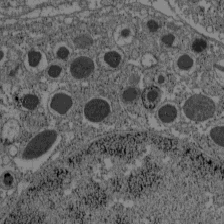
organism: C57BL Mouse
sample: Pancreatic islet